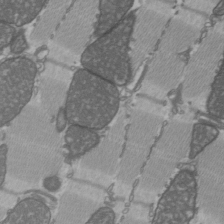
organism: C57BL Mouse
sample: Heart